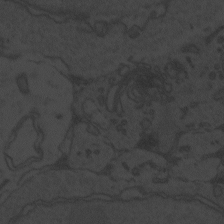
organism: Zebrafish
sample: Macrophage infected with Toxoplasma gondii